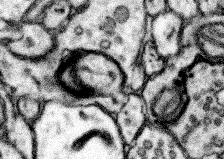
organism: Mouse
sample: Somatosensory cortex neuropil